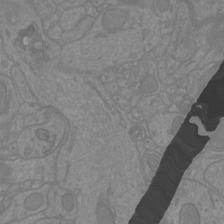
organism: Mouse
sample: Cortical neurons